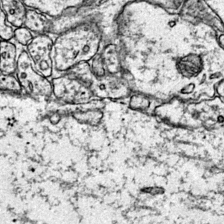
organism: Mouse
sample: Primary visual cortex